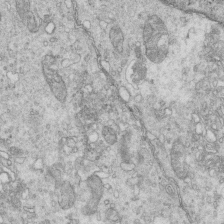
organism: Mouse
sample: Multiciliated cells